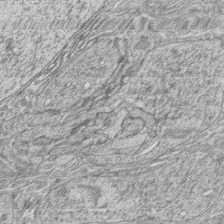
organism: Zebrafish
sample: synaptic ribbons in rod cells and cone cells